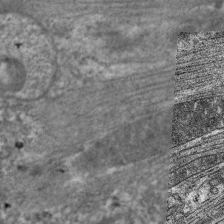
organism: C. elegans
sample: Pharynx